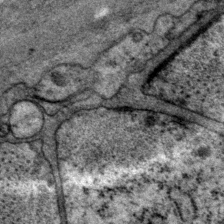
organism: P. pacificus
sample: Pharynx